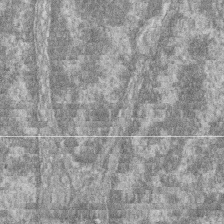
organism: Zebrafish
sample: Cilia; retinal pigment epithelium